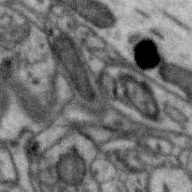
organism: Zebra finch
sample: Brain